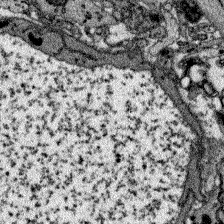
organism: Zebrafish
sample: Larval olfactory bulb